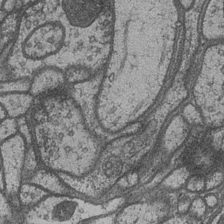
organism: Drosophila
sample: Optic medulla